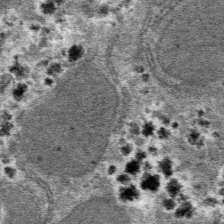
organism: Mouse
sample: Mouse hepatocytes